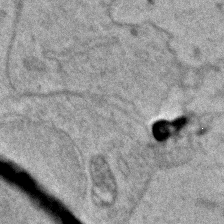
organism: Zebrafish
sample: Zebrafish embryo